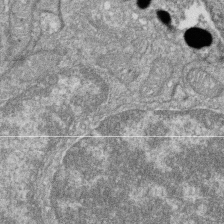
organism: Zebrafish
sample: Cilia; retinal pigment epithelium